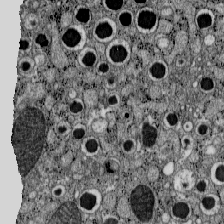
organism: C57BL Mouse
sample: Pancreatic islet